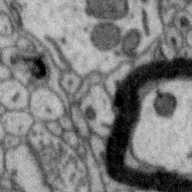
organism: Zebra finch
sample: Brain